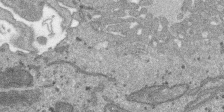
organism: Human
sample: Lung epithelial cells infected with SARS-CoV-2